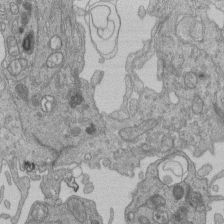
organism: Human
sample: Retinal organoid Rod and Cone cells